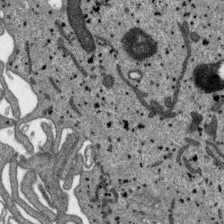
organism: Human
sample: Lung epithelial cells, uninfected (mock) control